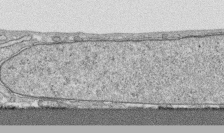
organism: Human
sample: CRL-1474